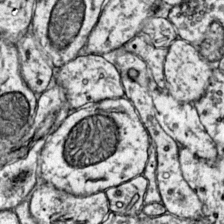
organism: Mouse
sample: Primary visual cortex